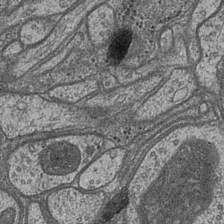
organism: Drosophila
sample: Optic medulla